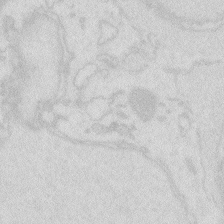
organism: Zebrafish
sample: Macrophage